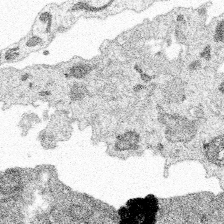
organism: Spongilla lacustris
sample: Multiple